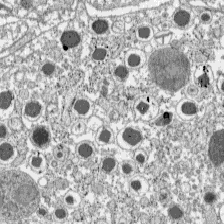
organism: C57BL Mouse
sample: Pancreatic islet